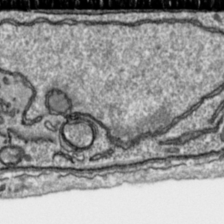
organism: Toxoplasma gondii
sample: Parasites in a vacuole inside a host cell